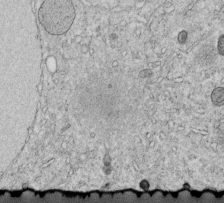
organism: C. elegans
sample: C. elegans embryo early stage